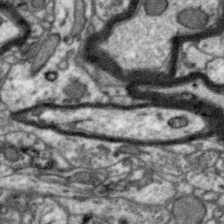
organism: Zebra finch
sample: Brain